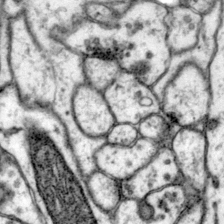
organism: Mouse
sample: Primary visual cortex